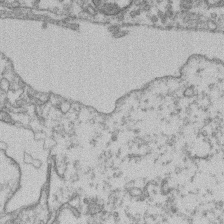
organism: Mouse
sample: T cell stromal cell synapse